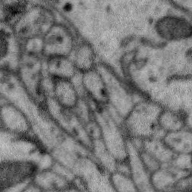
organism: Zebra finch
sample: Brain